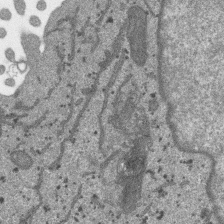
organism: Human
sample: Lung epithelial cells infected with SARS-CoV-2